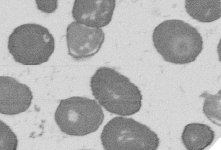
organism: B. subtilis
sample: Bacterial spore